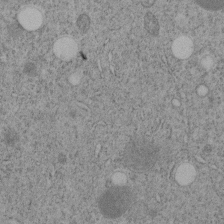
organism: C. elegans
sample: C. elegans embryo early stage